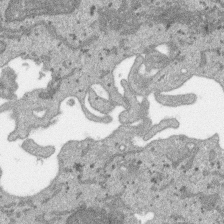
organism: Human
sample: Lung epithelial cells infected with SARS-CoV-2